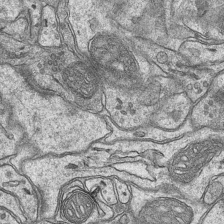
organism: Mouse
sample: CA1 Hippocampus